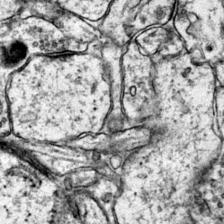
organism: Mouse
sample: Primary visual cortex